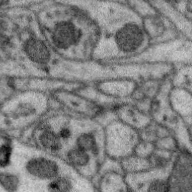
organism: Zebra finch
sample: Brain